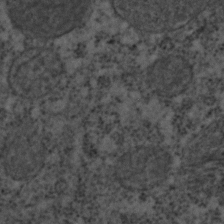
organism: C. elegans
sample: C. elegans embryo